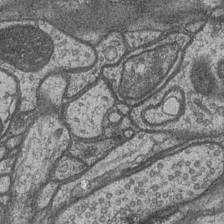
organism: Drosophila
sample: Optic medulla